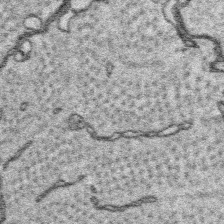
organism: Platynereis dumerilii